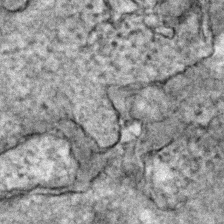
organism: Zebrafish